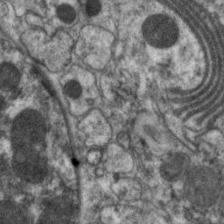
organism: C. elegans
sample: Pharynx